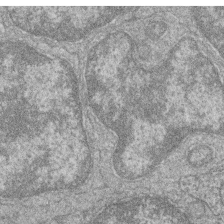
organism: Zebrafish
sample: Cilia; retinal pigment epithelium